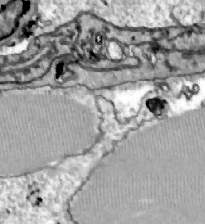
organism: Zebrafish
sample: Actinotrichia fibers